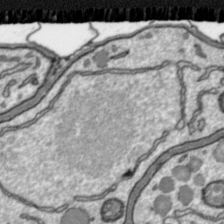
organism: Toxoplasma gondii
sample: Parasites in a vacuole inside a host cell